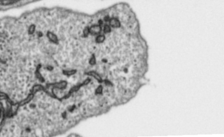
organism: Toxoplasma gondii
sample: Parasites in a vacuole inside a host cell